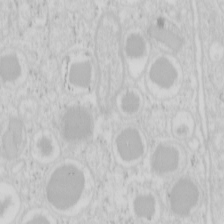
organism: Mouse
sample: Pancreas